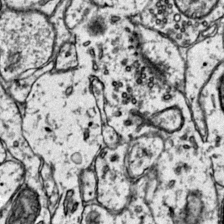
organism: Mouse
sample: Primary visual cortex